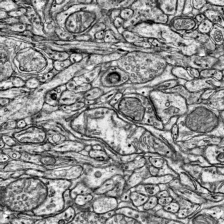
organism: Mouse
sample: Visual Cortex